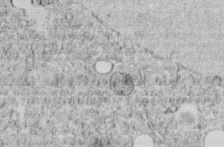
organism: C. elegans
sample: C. elegans embryo early stage